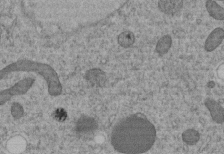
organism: C. elegans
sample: C. elegans embryo early stage